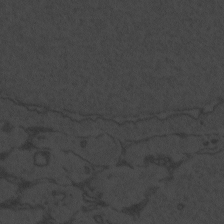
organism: Zebrafish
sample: Macrophage infected with Toxoplasma gondii